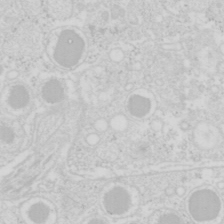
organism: Mouse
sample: Pancreas